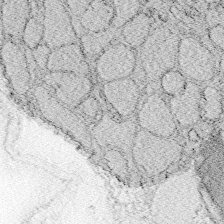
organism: Zebrafish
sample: Whole-Brain